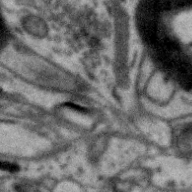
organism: Zebra finch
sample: Brain